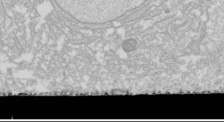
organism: Drosophila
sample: Cell division; meiosis; drosophila spermatocytes